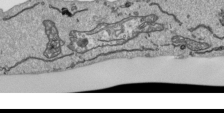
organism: Human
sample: Mitochondria in HCT116 cells